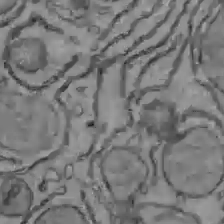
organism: C57BL Mouse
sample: Liver